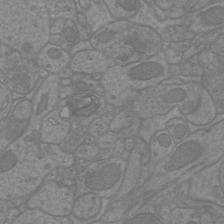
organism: Mouse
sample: Cortical neurons